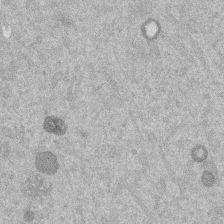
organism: Mouse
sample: Dividing mouse embryo 1 cell stage